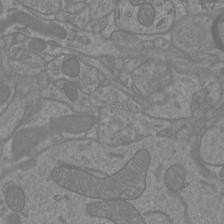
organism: Mouse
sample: Cortical neurons